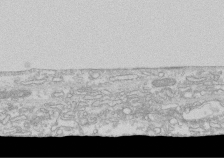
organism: Human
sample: CRL-1474